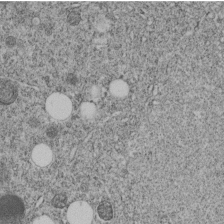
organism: C. elegans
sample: C. elegans embryo early stage